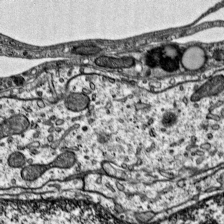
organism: Mouse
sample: Visual Cortex